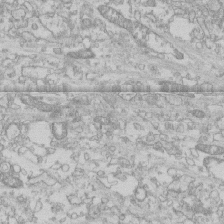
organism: Human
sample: CRL-1474